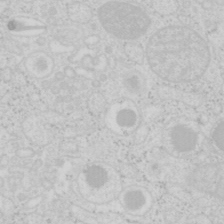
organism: Mouse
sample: Pancreas